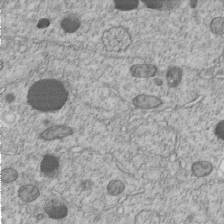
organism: C. elegans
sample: C. elegans embryo early stage